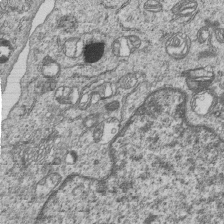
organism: Human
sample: MDA-MB-231 cells